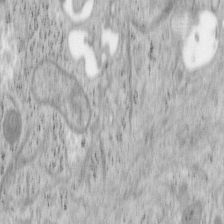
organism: Human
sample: HeLa cells